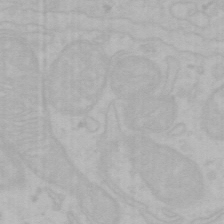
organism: Mouse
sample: Choroid plexus